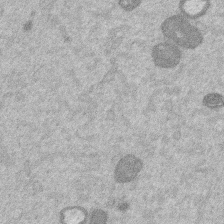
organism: Mouse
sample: Dividing mouse embryo 1 cell stage